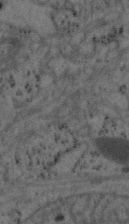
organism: Human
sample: HeLa cells